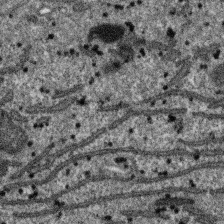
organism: Human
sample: Lung epithelial cells infected with SARS-CoV-2